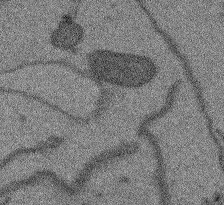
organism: Arabidopsis thaliana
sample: Root tip